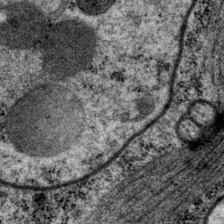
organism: P. pacificus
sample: Pharynx